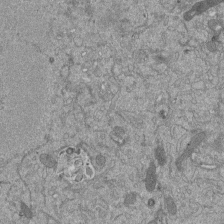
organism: Mouse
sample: ED-1 cell nuclei; centrioles